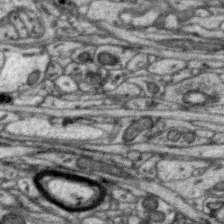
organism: Zebra finch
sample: Brain